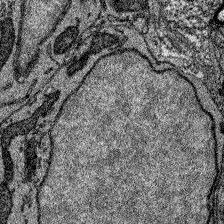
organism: Zebrafish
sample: Larval olfactory bulb